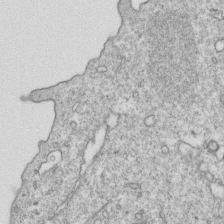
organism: Mouse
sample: Activated OT-1 CD8+ T cells